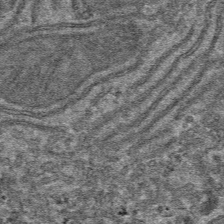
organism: Mouse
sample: Mouse hepatocytes